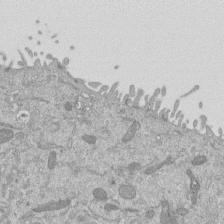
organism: Mouse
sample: ED-1 cell nuclei; centrioles